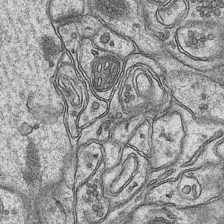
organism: Mouse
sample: CA1 Hippocampus